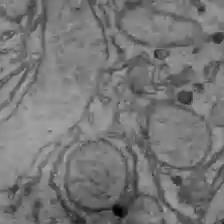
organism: C57BL Mouse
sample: Liver